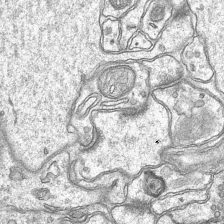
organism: Mouse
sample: CA1 Hippocampus